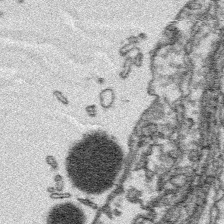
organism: Platynereis dumerilii